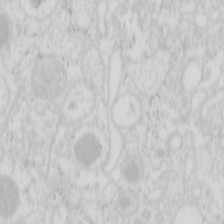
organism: Mouse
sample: Pancreas